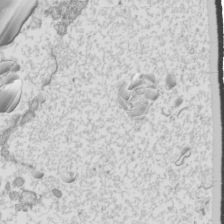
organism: Mouse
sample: Cilia; mouse epididymis